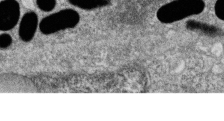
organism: Zebrafish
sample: Cilia; retinal pigment epithelium